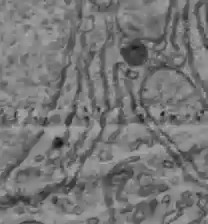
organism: C57BL Mouse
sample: Liver